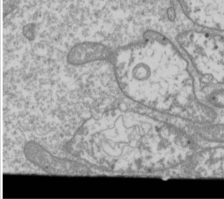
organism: Drosophila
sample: Cell division; meiosis; drosophila spermatocytes